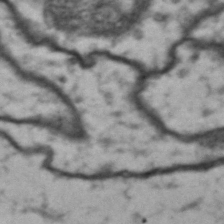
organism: Drosophila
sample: Brain